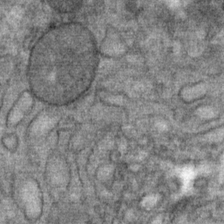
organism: Mouse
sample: Mouse Salivary gland